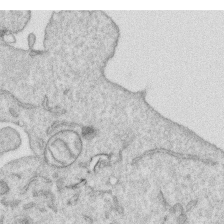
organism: Human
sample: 1205lu cells